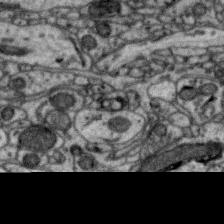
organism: Zebra finch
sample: Brain